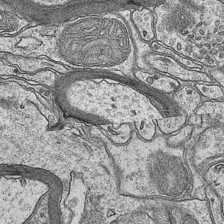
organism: Mouse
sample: CA1 Hippocampus